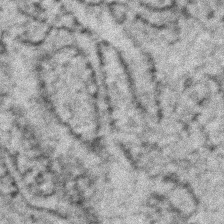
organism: Zebrafish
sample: Zebrafish embryo